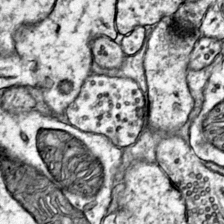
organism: Mouse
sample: Primary visual cortex